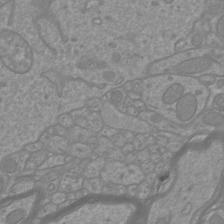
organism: Mouse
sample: Cortical neurons